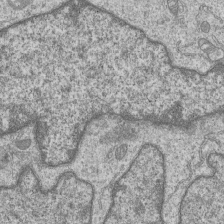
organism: Human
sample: MDA-MB-231 cells